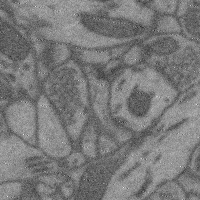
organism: Mouse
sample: Cerebral cortex